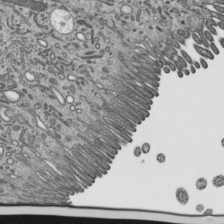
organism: Mouse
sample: Mouse epididymis efferent ductule cilia